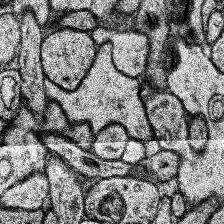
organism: Human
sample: Temporal Lobe